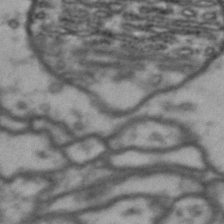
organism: Drosophila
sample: Brain